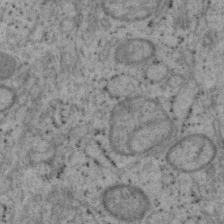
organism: Human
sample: HeLa cells